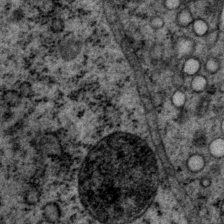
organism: P. pacificus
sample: Pharynx